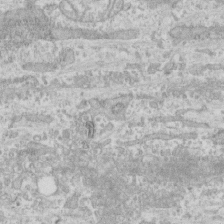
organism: Human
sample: CRL-1474